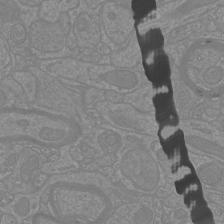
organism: Mouse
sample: Cortical neurons